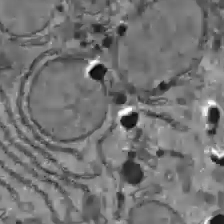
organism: C57BL Mouse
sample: Liver